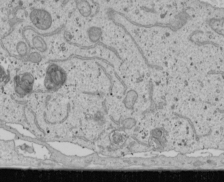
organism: Human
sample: Mitochondria in U2OS cells